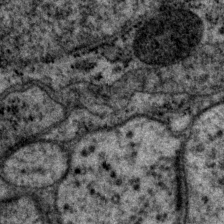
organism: P. pacificus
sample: Pharynx